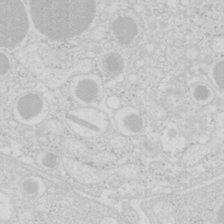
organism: Mouse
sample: Pancreas